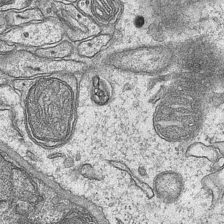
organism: Mouse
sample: CA1 Hippocampus